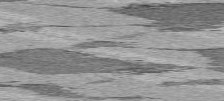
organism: C57BL Mouse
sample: Heart